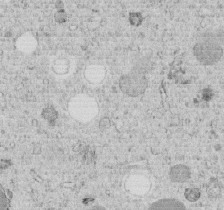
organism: C. elegans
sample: C. elegans embryo early stage